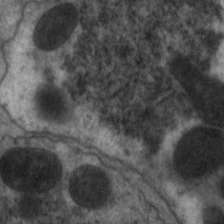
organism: C. elegans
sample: Pharynx